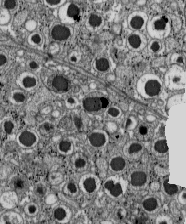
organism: C57BL Mouse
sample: Pancreatic islet